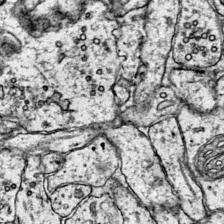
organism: Mouse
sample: Primary visual cortex